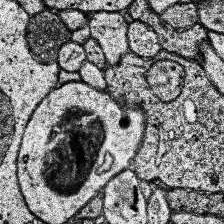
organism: Human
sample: Temporal Lobe